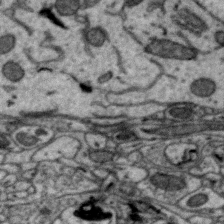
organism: Zebra finch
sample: Brain